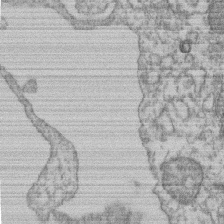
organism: Mouse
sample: T cell stromal cell synapse